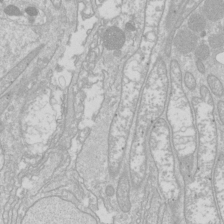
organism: Drosophila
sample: Cell division; meiosis; drosophila spermatocytes